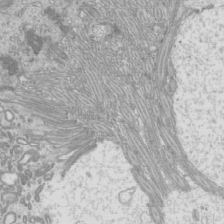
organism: Mouse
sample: Cilia; mouse epididymis